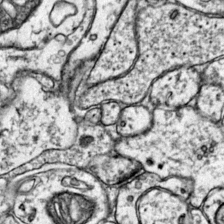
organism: Mouse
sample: Primary visual cortex